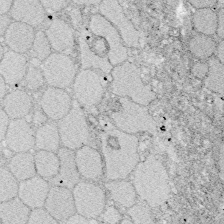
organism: Zebrafish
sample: Whole-Brain